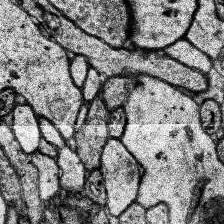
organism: Human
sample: Temporal Lobe